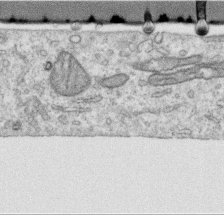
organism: Human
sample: Centriole in RPE cells